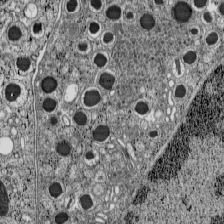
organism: C57BL Mouse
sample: Pancreatic islet